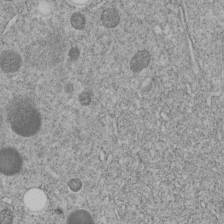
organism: C. elegans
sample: C. elegans embryo early stage